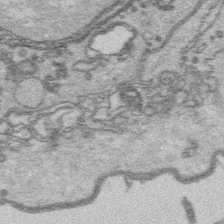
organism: Platynereis dumerilii